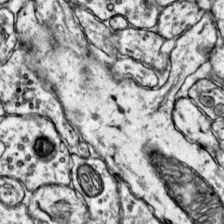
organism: Mouse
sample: Primary visual cortex